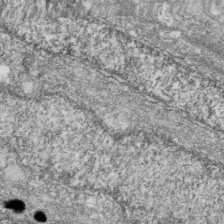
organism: Zebrafish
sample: Cilia; retinal pigment epithelium